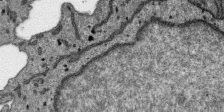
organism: Human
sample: Lung epithelial cells, uninfected (mock) control